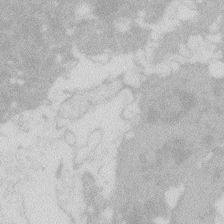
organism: Zebrafish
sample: Macrophage